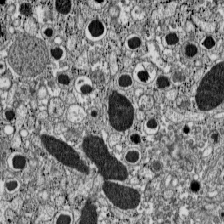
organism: C57BL Mouse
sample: Pancreatic islet